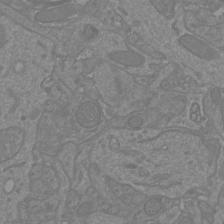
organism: Mouse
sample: Cortical neurons